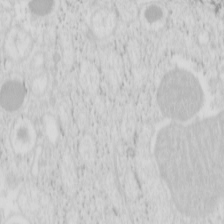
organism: Mouse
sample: Pancreas